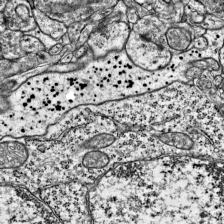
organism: Mouse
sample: Visual Cortex